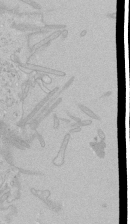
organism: Human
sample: Mitochondria in HCT116 cells